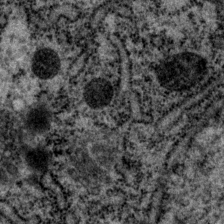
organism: P. pacificus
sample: Pharynx